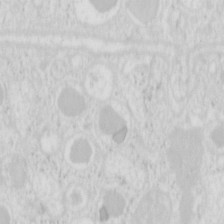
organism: Mouse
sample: Pancreas